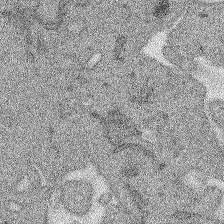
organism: Human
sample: HeLa cells